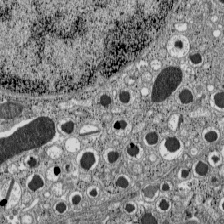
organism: C57BL Mouse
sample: Pancreatic islet